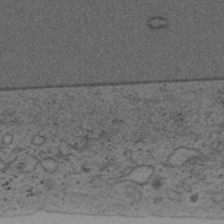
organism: Human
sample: HeLa cells